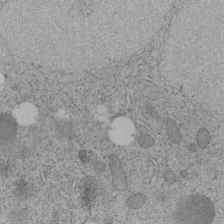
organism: C. elegans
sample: C. elegans embryo early stage